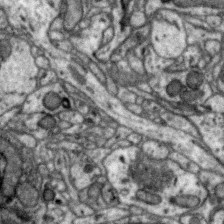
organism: Zebra finch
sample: Brain